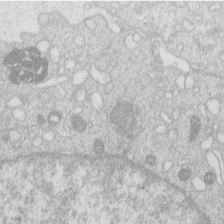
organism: Human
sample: Macrophage cells